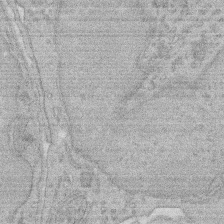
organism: Rat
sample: Salivary granule